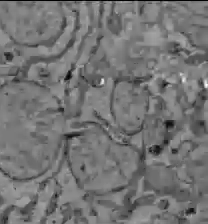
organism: C57BL Mouse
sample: Liver